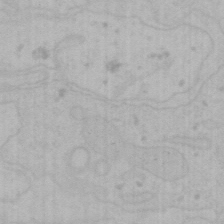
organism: Mouse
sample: Choroid plexus